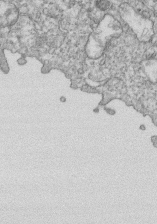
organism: Human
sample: HeLa cell HIV synapse